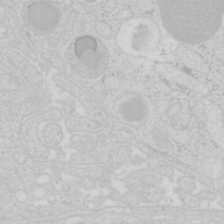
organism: Mouse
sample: Pancreas